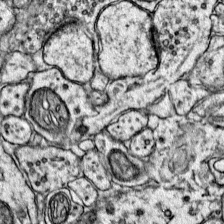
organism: Mouse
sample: Primary visual cortex